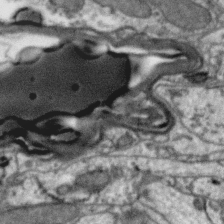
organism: Zebra finch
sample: Brain